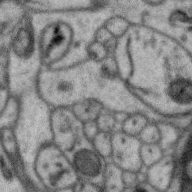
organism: Zebra finch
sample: Brain